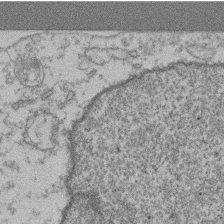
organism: Mouse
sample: T cell stromal cell synapse